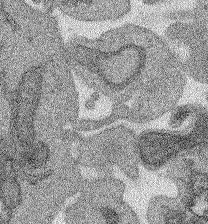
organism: Human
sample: HeLa cells